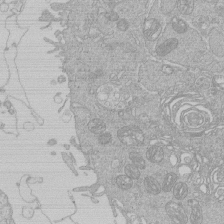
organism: Human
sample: Macrophage cells